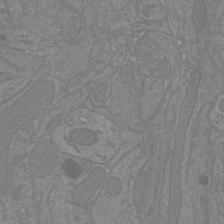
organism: Mouse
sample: Cortical neurons